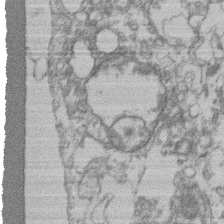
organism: Mouse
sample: T cell stromal cell synapse